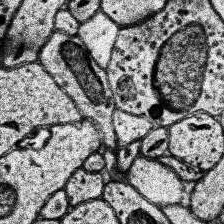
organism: Human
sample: Temporal Lobe